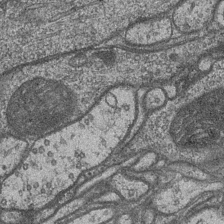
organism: Drosophila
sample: Optic medulla